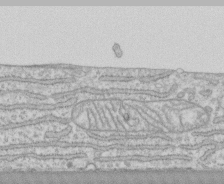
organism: Human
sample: CRL-1474